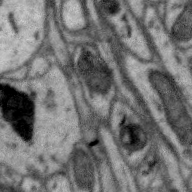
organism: Zebra finch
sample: Brain